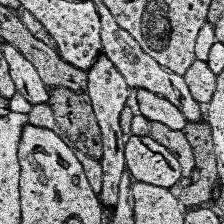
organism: Human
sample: Temporal Lobe